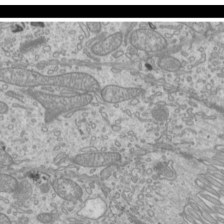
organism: Mouse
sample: Cilia; mouse epididymis